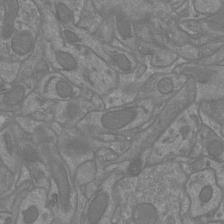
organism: Mouse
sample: Cortical neurons